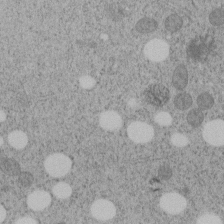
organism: C. elegans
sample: C. elegans embryo early stage